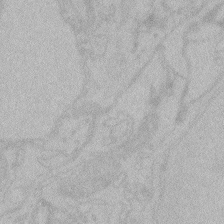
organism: Zebrafish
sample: Macrophage infected with Toxoplasma gondii